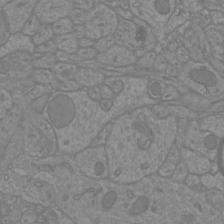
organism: Mouse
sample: Cortical neurons